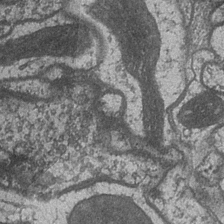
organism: Drosophila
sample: Optic medulla